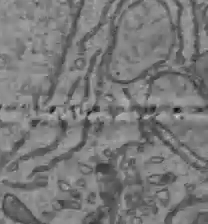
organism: C57BL Mouse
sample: Liver